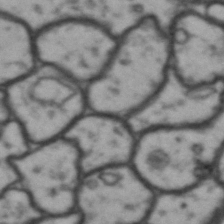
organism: Drosophila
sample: Brain